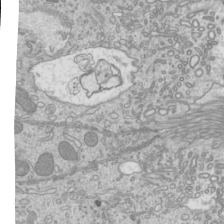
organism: Mouse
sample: Cilia; mouse epididymis